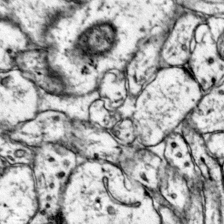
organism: Mouse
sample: Primary visual cortex